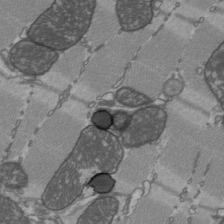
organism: C57BL Mouse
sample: Heart